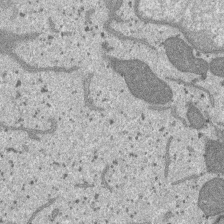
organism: Human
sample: Lung epithelial cells infected with SARS-CoV-2